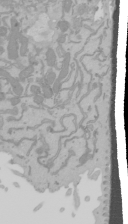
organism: Mouse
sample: Cancer cell death in ED-1 cells